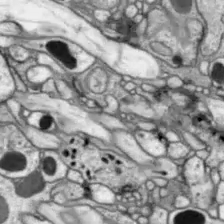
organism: Drosophila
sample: Optic lobe